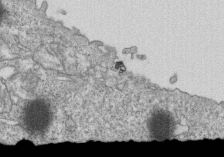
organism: Human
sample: HeLa cell HIV synapse